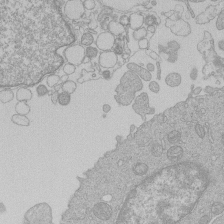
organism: Human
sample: Macrophage cells